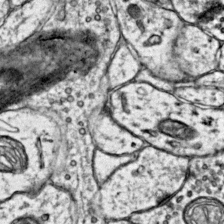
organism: Mouse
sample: Primary visual cortex